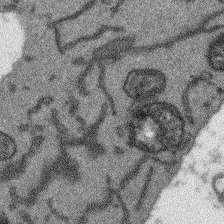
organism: Arabidopsis thaliana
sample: Root tip